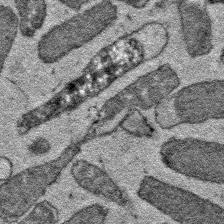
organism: E. coli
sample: E. Coli Bacteria